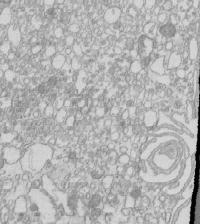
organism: Mouse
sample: Macrophages